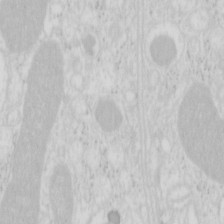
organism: Mouse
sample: Pancreas